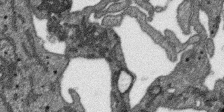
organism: Human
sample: Lung epithelial cells infected with SARS-CoV-2